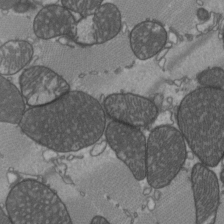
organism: C57BL Mouse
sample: Heart